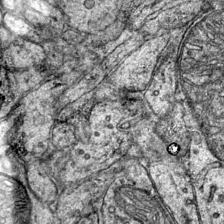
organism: Mouse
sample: Primary visual cortex